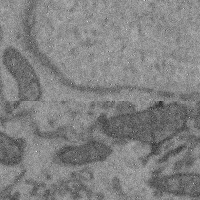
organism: Mouse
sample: Cerebral cortex